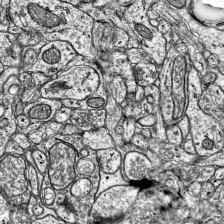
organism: Mouse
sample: Visual Cortex